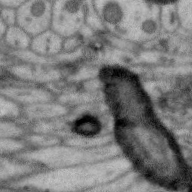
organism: Zebra finch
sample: Brain